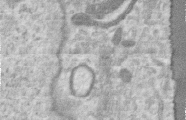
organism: Human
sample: Centriole in RPE cells